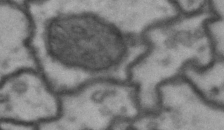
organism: Drosophila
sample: Brain